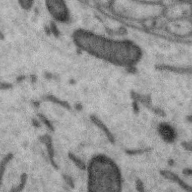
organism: Zebra finch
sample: Brain